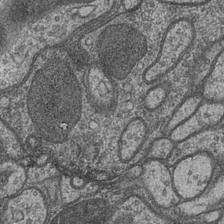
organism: Drosophila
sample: Optic medulla